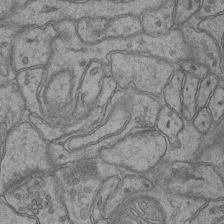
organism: Mouse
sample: CA1 Hippocampus